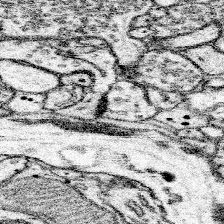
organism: Mouse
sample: Somatosensory cortex neuropil